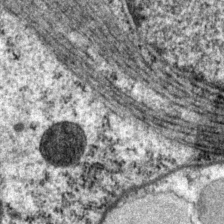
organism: P. pacificus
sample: Pharynx